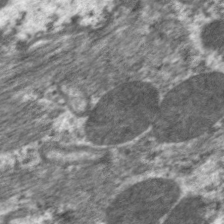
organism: C. elegans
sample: Pharynx